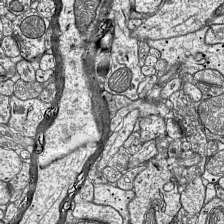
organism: Mouse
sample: Visual Cortex